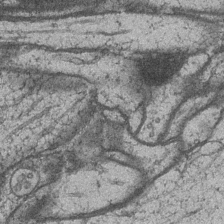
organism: Drosophila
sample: Optic medulla